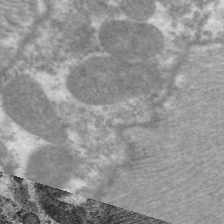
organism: C. elegans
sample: Pharynx